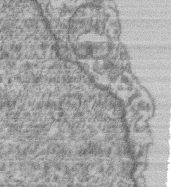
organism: Mouse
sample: T cell stromal cell synapse